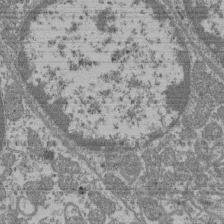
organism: Mouse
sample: Glomerulus